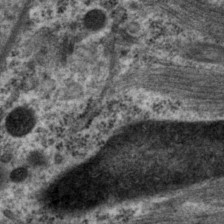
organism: P. pacificus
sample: Pharynx